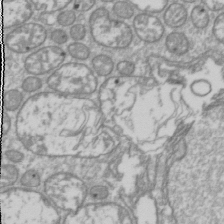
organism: Drosophila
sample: Cell division; meiosis; drosophila spermatocytes